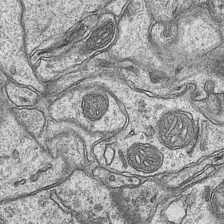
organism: Mouse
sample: CA1 Hippocampus